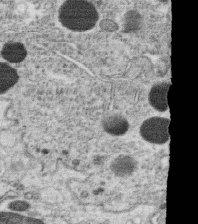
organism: C. elegans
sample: C. elegans oocyte; sperm cells